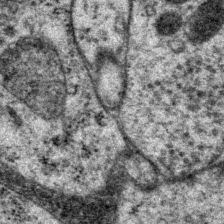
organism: P. pacificus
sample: Pharynx